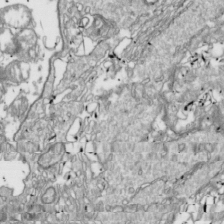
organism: Drosophila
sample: Cell division; meiosis; drosophila spermatocytes